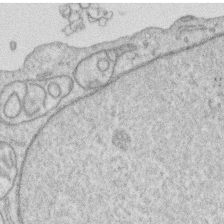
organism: Human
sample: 1205lu cells